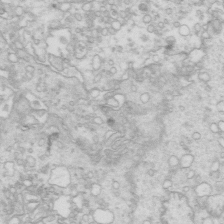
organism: Mouse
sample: Multiciliated cells